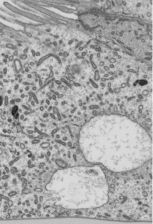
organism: Mouse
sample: Mouse epididymis efferent ductule cilia